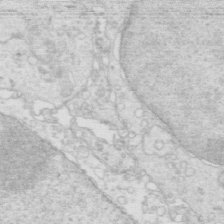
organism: Mouse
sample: Multiciliated cells